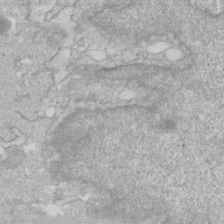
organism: Human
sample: Fibroblast cells